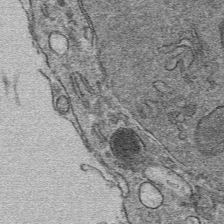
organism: Mouse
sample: Mouse hepatocytes